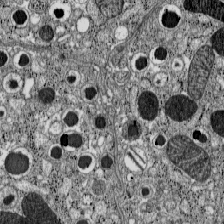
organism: C57BL Mouse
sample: Pancreatic islet